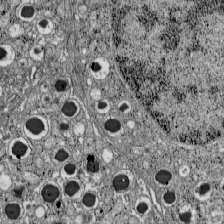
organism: C57BL Mouse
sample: Pancreatic islet